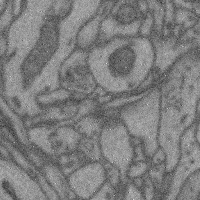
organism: Mouse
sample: Cerebral cortex